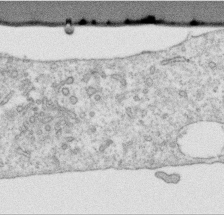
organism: Human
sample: Centriole in RPE cells